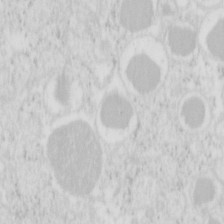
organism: Mouse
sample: Pancreas